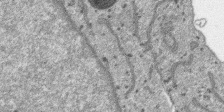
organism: Human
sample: Lung epithelial cells infected with SARS-CoV-2